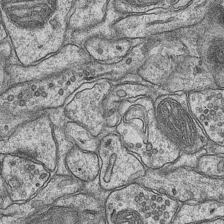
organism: Mouse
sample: CA1 Hippocampus